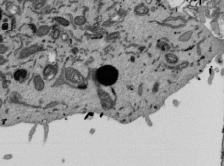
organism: Mouse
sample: ED-1 cell nuclei; centrioles